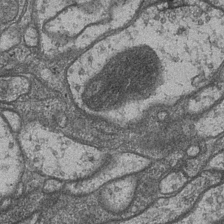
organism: Drosophila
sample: Optic medulla